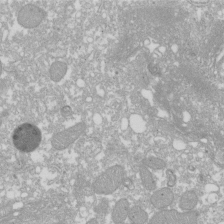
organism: Xenopus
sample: Cilia; centrioles in frog embryo cells